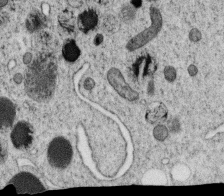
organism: C. elegans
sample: C. elegans oocyte; sperm cells